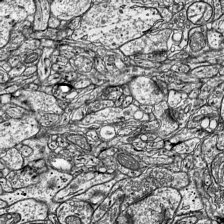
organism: Mouse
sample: Visual Cortex